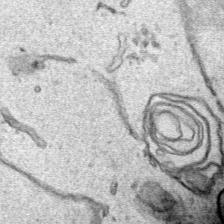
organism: Human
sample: Mitochondria in HCT116 cells